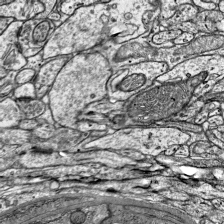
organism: Mouse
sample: Visual Cortex